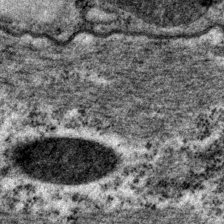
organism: P. pacificus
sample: Pharynx